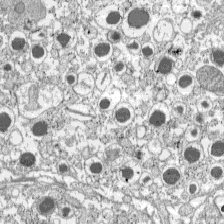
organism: C57BL Mouse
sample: Pancreatic islet